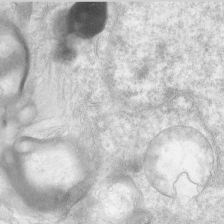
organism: Human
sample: Neocortex